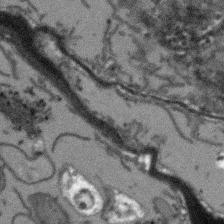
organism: Arabidopsis thaliana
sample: Root tip